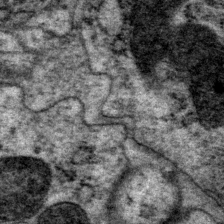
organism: P. pacificus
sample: Pharynx